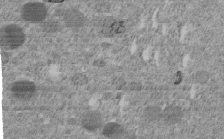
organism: C. elegans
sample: C. elegans embryo early stage